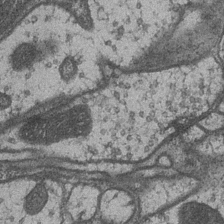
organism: Drosophila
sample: Optic medulla